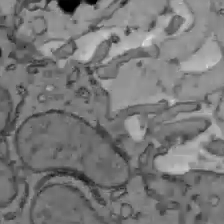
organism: C57BL Mouse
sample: Liver